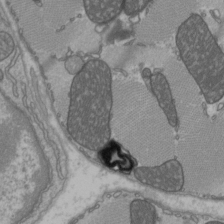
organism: C57BL Mouse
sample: Heart